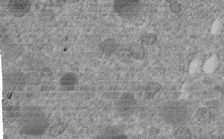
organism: C. elegans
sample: C. elegans embryo early stage